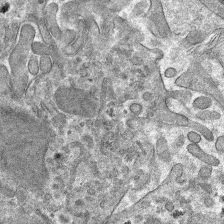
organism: Mouse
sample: Mouse hepatocytes